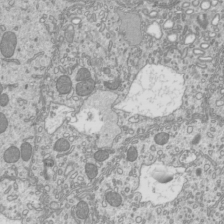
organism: Mouse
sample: Cilia; mouse epididymis